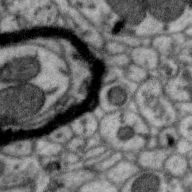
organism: Zebra finch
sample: Brain